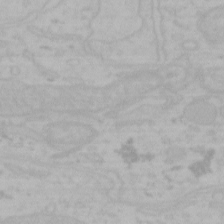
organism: Mouse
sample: Choroid plexus